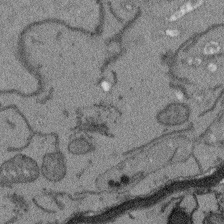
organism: Arabidopsis thaliana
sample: Root tip